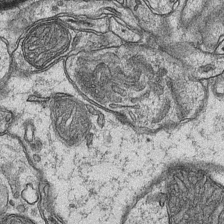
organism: Mouse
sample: CA1 Hippocampus